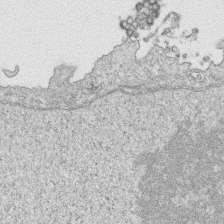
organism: Human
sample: HeLa cell HIV synapse